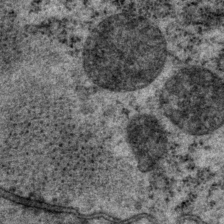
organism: P. pacificus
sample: Pharynx